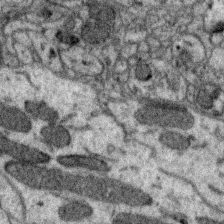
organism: Zebra finch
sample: Brain